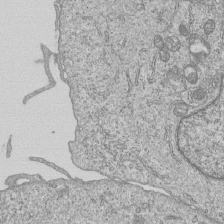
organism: Human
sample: MDA-MB-231 cells